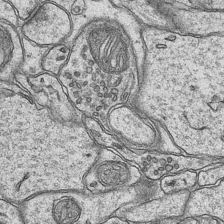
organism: Mouse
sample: CA1 Hippocampus